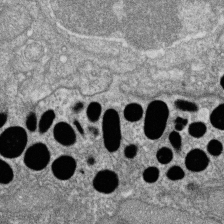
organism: Zebrafish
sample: Cilia; retinal pigment epithelium